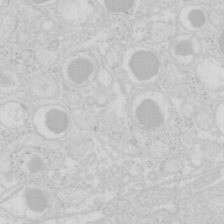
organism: Mouse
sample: Pancreas